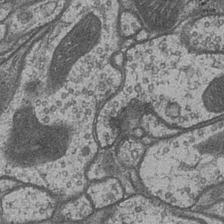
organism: Drosophila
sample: Optic medulla